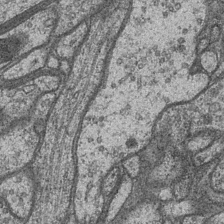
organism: Drosophila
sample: Optic medulla